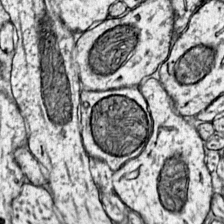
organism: Mouse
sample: Primary visual cortex